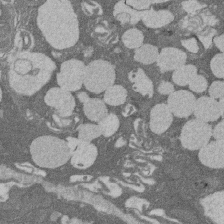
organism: Rat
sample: Salivary granule